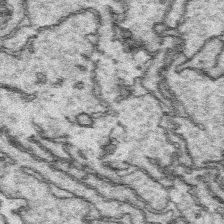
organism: Platynereis dumerilii